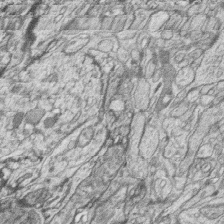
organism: Zebrafish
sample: synaptic ribbons in rod cells and cone cells